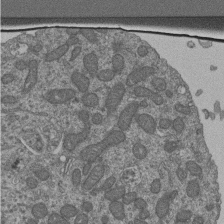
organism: Human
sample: Retinal organoid Rod and Cone cells